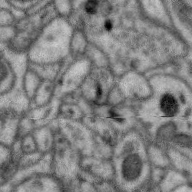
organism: Zebra finch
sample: Brain